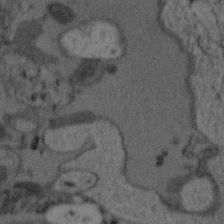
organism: Human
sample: HeLa cells